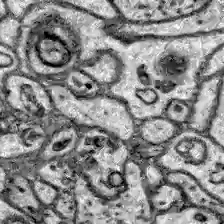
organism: Zebrafish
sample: Brain